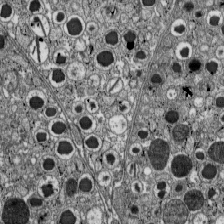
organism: C57BL Mouse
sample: Pancreatic islet